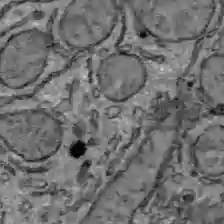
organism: C57BL Mouse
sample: Liver